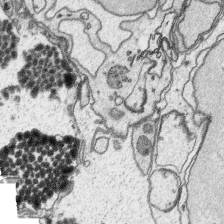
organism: Platynereis dumerilii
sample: Parapodia